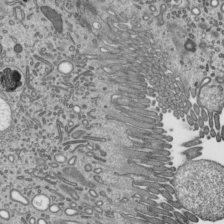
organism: Mouse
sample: Mouse epididymis efferent ductule cilia